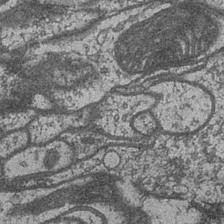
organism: Drosophila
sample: Optic medulla